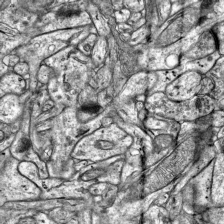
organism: Mouse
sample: Visual Cortex